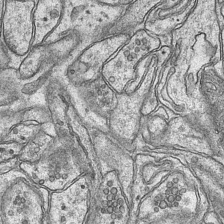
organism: Mouse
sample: CA1 Hippocampus